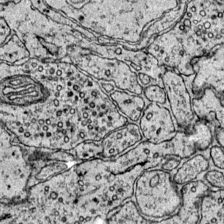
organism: Mouse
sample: Primary visual cortex